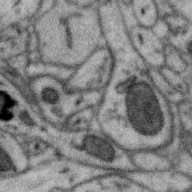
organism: Zebra finch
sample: Brain